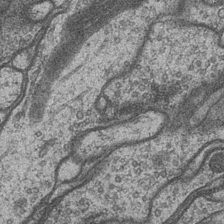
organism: Drosophila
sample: Optic medulla